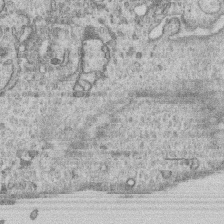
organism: Human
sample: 1205lu cells